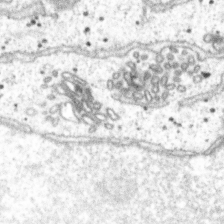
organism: Human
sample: HeLa cells